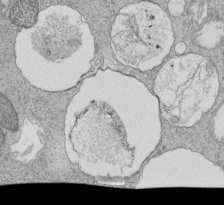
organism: Tetrahymena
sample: Cilia in tetrahymena